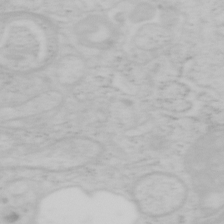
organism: Mouse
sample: OT-I killer T cells with ID8 ovarian cancer cells